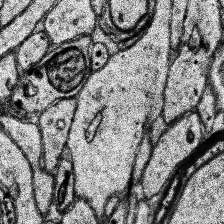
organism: Human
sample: Temporal Lobe